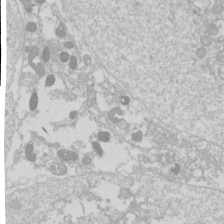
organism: Drosophila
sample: Cell division; meiosis; drosophila spermatocytes